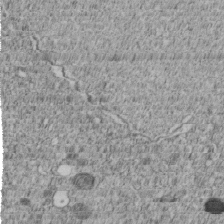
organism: C. elegans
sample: C. elegans embryo early stage